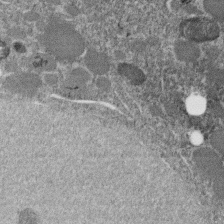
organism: C. elegans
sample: C. elegans embryo early stage